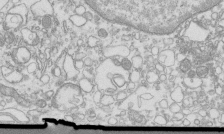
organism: Mouse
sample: Macrophages